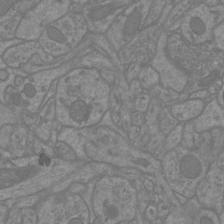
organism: Mouse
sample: Cortical neurons